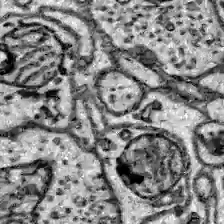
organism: Zebrafish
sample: Brain